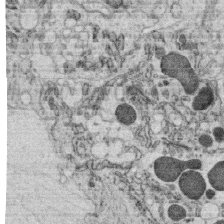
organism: C. elegans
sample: C. elegans oocyte; sperm cells